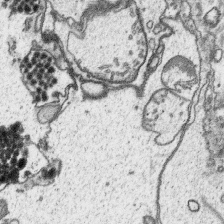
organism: Platynereis dumerilii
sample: Parapodia